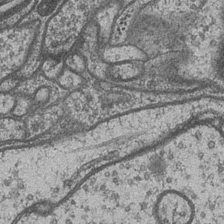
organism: Drosophila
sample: Optic medulla